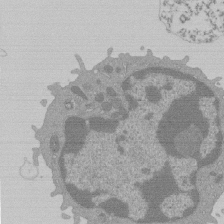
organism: Mouse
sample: Activated Pmel transgenic CD8+ T Cells